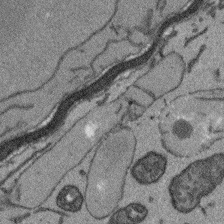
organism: Arabidopsis thaliana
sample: Root tip